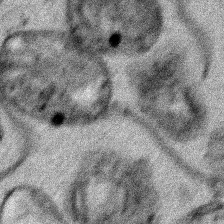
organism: Human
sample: Mitochondria in HCT116 cells